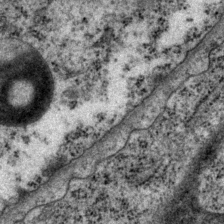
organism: P. pacificus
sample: Pharynx